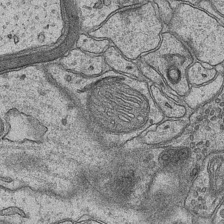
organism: Mouse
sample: CA1 Hippocampus